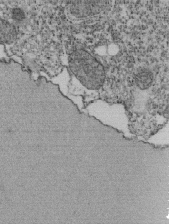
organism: Tetrahymena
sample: Cilia in tetrahymena